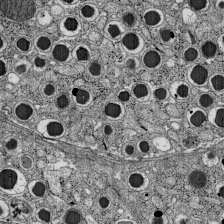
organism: C57BL Mouse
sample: Pancreatic islet